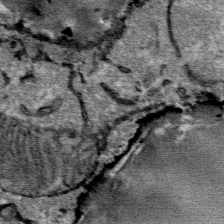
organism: Mouse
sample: Mouse Salivary gland